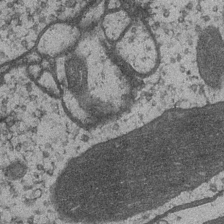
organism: Drosophila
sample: Optic medulla